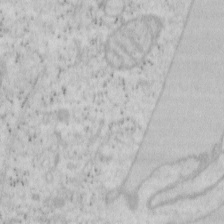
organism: Human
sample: HeLa cells